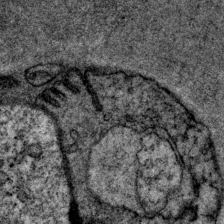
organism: P. pacificus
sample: Pharynx